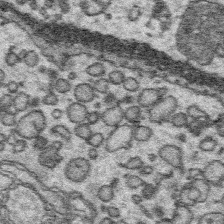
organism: Platynereis dumerilii